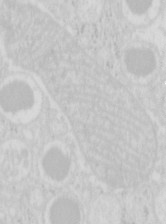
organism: Mouse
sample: Pancreas